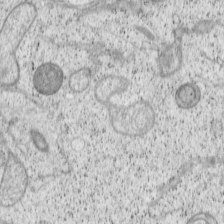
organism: African green monkey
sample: COS-7 cells